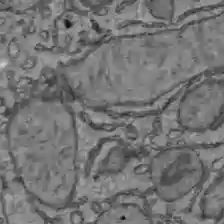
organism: C57BL Mouse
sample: Liver